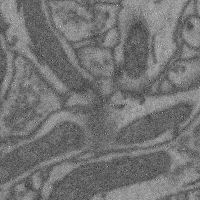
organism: Mouse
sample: Cerebral cortex